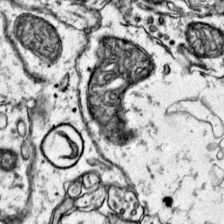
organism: Mouse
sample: Primary visual cortex